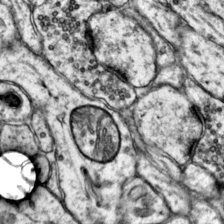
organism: Mouse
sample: Primary visual cortex